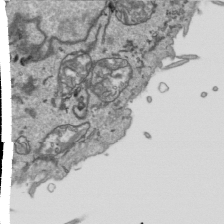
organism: Human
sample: Mitochondria in HCT116 cells